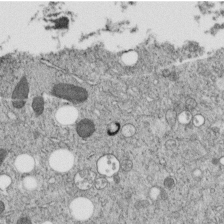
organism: C. elegans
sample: C. elegans embryo early stage